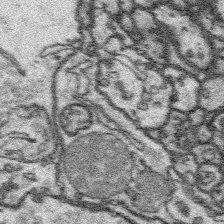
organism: Platynereis dumerilii